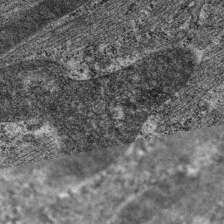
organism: C. elegans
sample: Pharynx